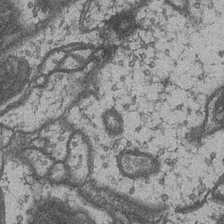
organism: Drosophila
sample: Optic medulla